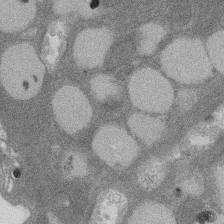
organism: Rat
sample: Salivary granule